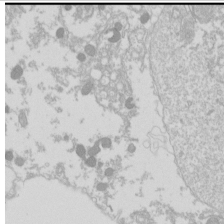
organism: Drosophila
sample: Cell division; meiosis; drosophila spermatocytes